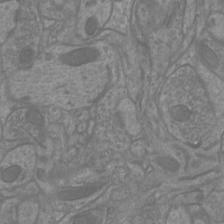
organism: Mouse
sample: Cortical neurons